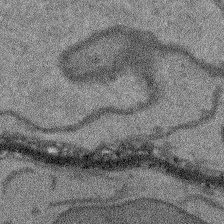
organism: Arabidopsis thaliana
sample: Root tip